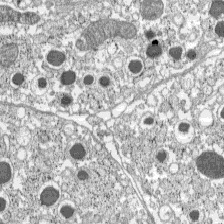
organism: C57BL Mouse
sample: Pancreatic islet